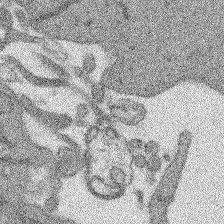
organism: Human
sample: HeLa cells